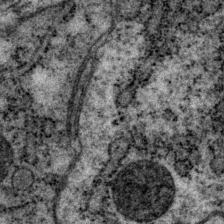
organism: P. pacificus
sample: Pharynx